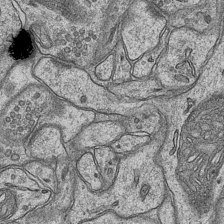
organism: Mouse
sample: CA1 Hippocampus